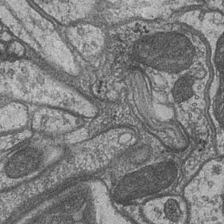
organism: Drosophila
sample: Optic medulla